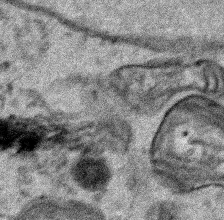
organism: Human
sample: Mitochondria in HCT116 cells